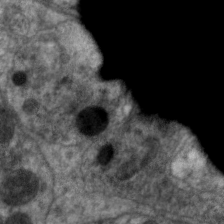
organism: C. elegans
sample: Pharynx